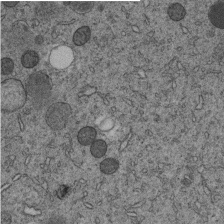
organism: C. elegans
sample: C. elegans embryo early stage